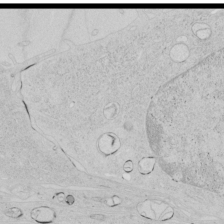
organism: Human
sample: Mitochondria in HCT116 cells